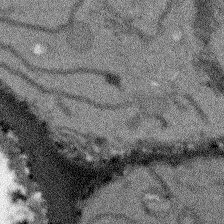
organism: Arabidopsis thaliana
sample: Root tip